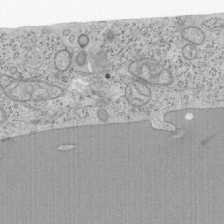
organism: Human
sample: HeLa cells